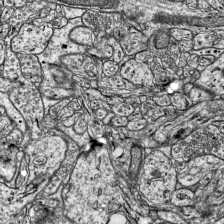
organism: Mouse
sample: Visual Cortex